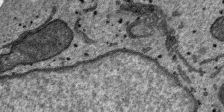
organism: Human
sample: Lung epithelial cells, uninfected (mock) control